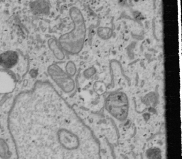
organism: Human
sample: Mitochondria in U2OS cells